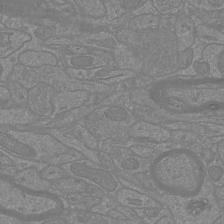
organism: Mouse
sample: Cortical neurons